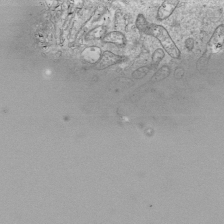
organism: Drosophila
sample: Cell division; meiosis; drosophila spermatocytes